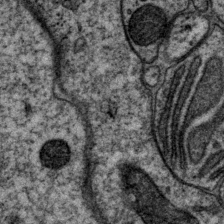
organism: P. pacificus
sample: Pharynx